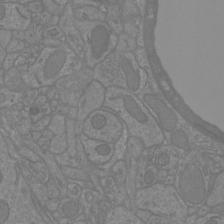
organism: Mouse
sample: Cortical neurons